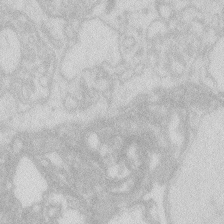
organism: Zebrafish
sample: Macrophage